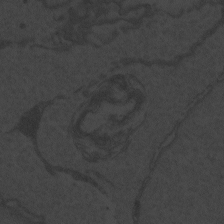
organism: Zebrafish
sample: Macrophage infected with Toxoplasma gondii